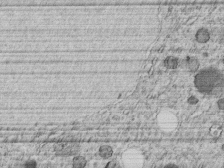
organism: C. elegans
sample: C. elegans embryo early stage